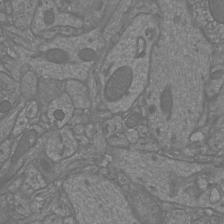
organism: Mouse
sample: Cortical neurons